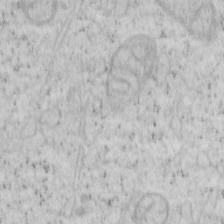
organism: Human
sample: HeLa cells